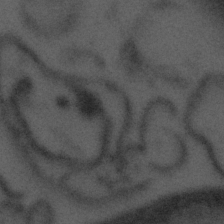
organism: Tuwongella immobilis